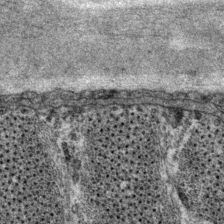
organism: P. pacificus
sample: Pharynx